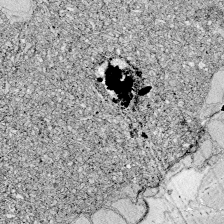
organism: Zebrafish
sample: Whole-Brain